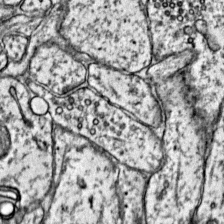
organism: Mouse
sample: Primary visual cortex